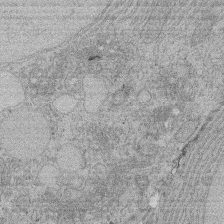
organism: Rat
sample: Salivary granule